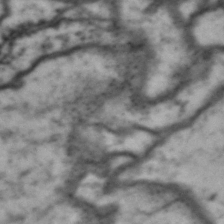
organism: Drosophila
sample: Brain